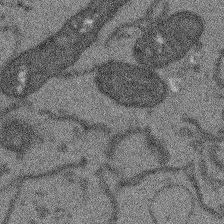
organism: Arabidopsis thaliana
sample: Root tip